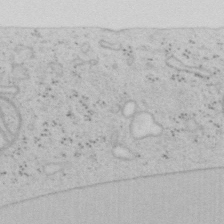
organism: Human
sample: HeLa cells